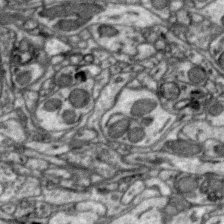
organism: Zebra finch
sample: Brain